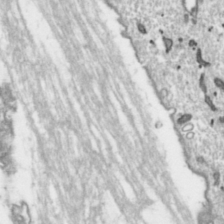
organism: Toxoplasma gondii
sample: Parasites in a vacuole inside a host cell